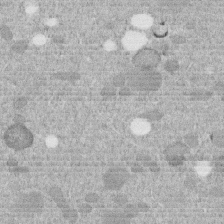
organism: C. elegans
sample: C. elegans embryo early stage